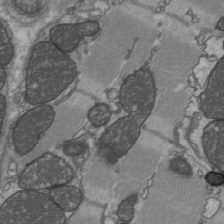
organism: C57BL Mouse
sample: Heart